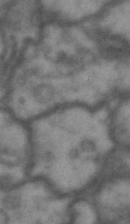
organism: Drosophila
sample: Brain